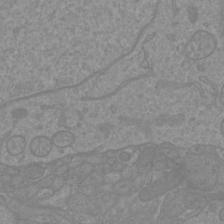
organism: Mouse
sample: Cortical neurons